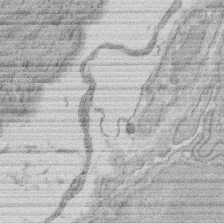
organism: Rat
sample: Salivary granule